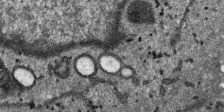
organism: Human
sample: Lung epithelial cells infected with SARS-CoV-2